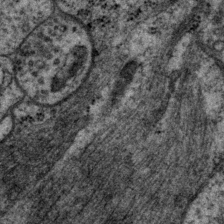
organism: P. pacificus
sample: Pharynx